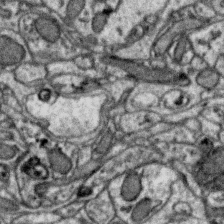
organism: Zebra finch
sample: Brain